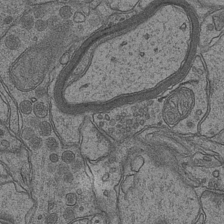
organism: Mouse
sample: CA1 Hippocampus